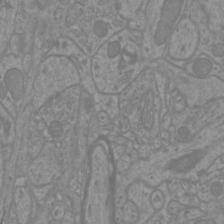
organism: Mouse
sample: Cortical neurons